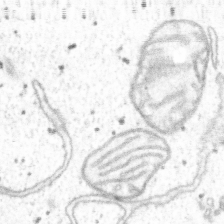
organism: Human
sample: HeLa cells